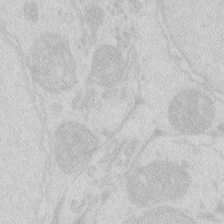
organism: Zebrafish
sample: Macrophage